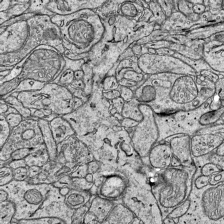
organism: Mouse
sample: Visual Cortex